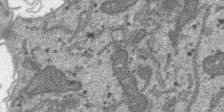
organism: Human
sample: Lung epithelial cells infected with SARS-CoV-2